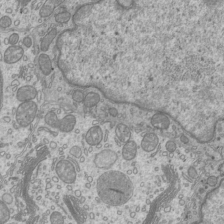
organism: Mouse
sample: Cilia; mouse epididymis